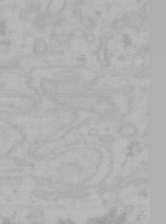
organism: Mouse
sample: Choroid plexus